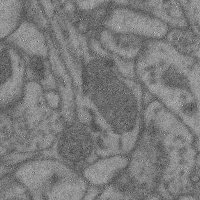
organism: Mouse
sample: Cerebral cortex